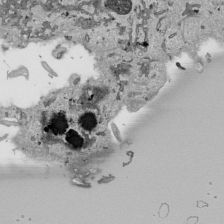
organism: Human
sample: Mitochondria in HCT116 cells